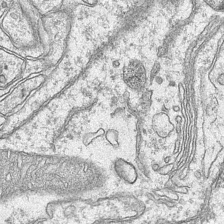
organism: Mouse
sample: CA1 Hippocampus